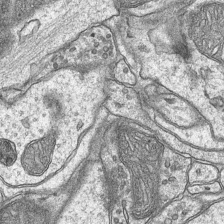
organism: Mouse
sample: CA1 Hippocampus